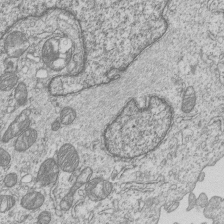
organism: Human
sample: MDA-MB-231 cells